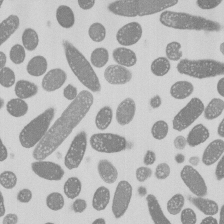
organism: E. coli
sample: Bacterial nucleoid